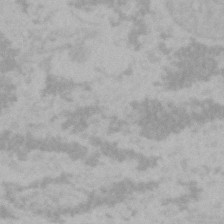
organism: Mouse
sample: Choroid plexus